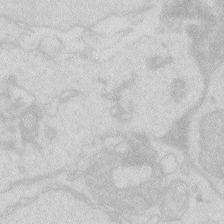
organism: Zebrafish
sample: Macrophage